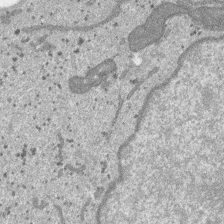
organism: Human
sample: Lung epithelial cells infected with SARS-CoV-2